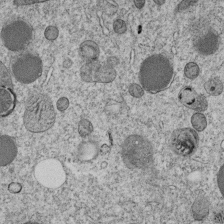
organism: C. elegans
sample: C. elegans embryo early stage